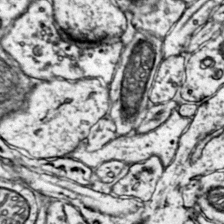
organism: Mouse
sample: Primary visual cortex